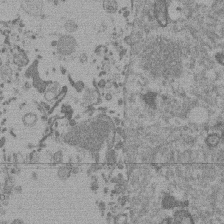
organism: Mouse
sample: Dividing mouse embryo 1 cell stage